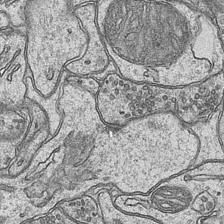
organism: Mouse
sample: CA1 Hippocampus